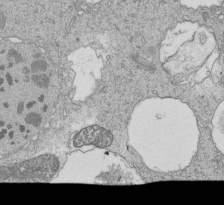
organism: Tetrahymena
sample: Cilia in tetrahymena